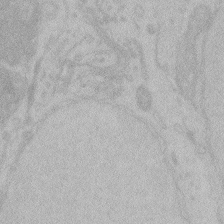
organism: Zebrafish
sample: Macrophage infected with Toxoplasma gondii